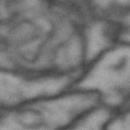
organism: Drosophila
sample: Brain